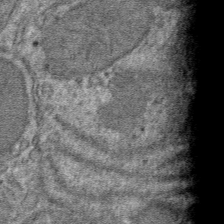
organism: Mouse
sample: Mouse hepatocytes